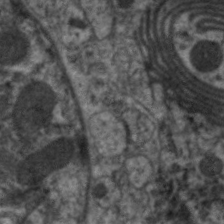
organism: C. elegans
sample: Pharynx